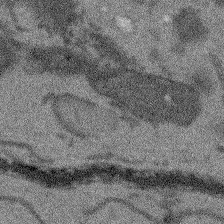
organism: Arabidopsis thaliana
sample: Root tip